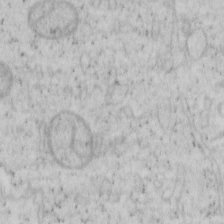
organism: Human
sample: HeLa cells